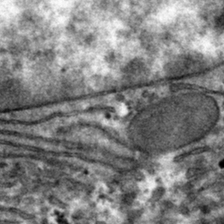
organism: Mouse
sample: Mouse hepatocytes